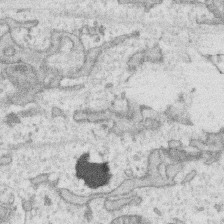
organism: Human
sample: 1205lu cells